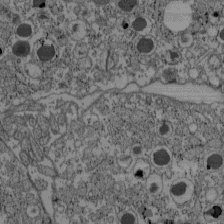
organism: C57BL Mouse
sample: Pancreatic islet